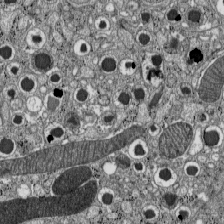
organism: C57BL Mouse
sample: Pancreatic islet